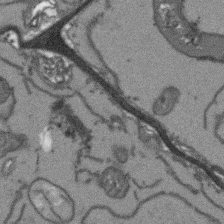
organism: Arabidopsis thaliana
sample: Root tip